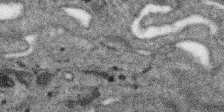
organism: Human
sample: Lung epithelial cells infected with SARS-CoV-2